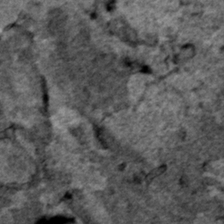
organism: Human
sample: Mitochondria in HCT116 cells